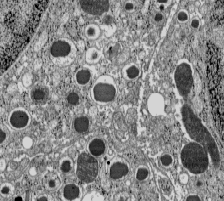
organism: C57BL Mouse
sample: Pancreatic islet